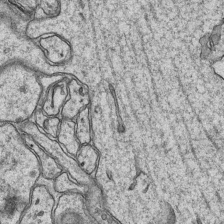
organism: Mouse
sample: CA1 Hippocampus